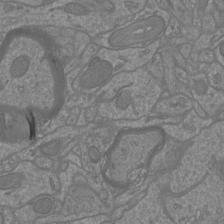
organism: Mouse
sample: Cortical neurons